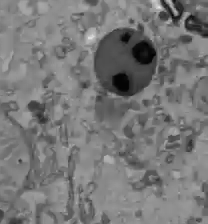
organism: C57BL Mouse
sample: Liver